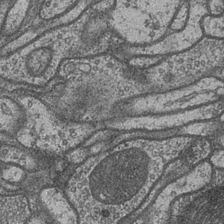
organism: Drosophila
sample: Optic medulla